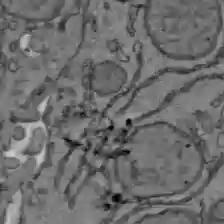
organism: C57BL Mouse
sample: Liver